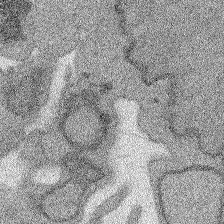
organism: Human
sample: HeLa cells